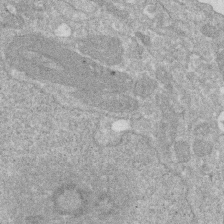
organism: Human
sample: HIV infected U937 cells